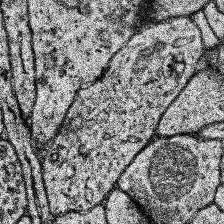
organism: Human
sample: Temporal Lobe